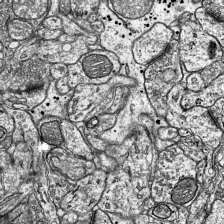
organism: Mouse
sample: Visual Cortex